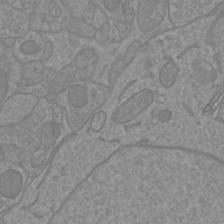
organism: Mouse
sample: Cortical neurons